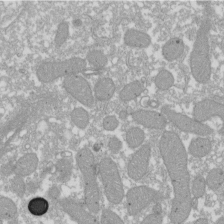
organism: Xenopus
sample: Cilia; centrioles in frog embryo cells